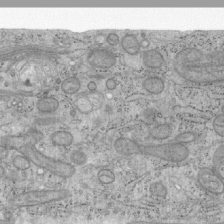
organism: Human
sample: HeLa cells